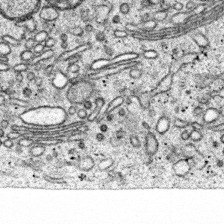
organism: Human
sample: HeLa cells